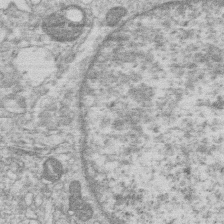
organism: Human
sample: Macrophage cells